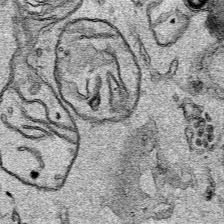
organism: Human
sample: Mitochondria in HCT116 cells